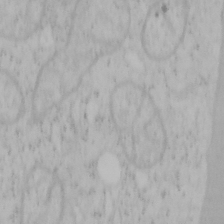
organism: Mouse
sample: OT-I killer T cells with ID8 ovarian cancer cells